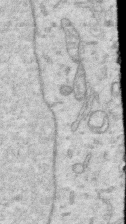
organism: Human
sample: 1205lu cells